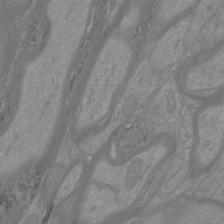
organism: Mouse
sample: Cortical neurons